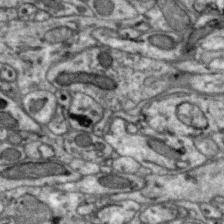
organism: Zebra finch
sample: Brain